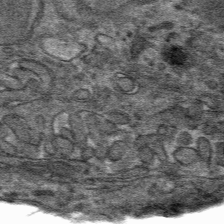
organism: Mouse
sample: Mouse hepatocytes